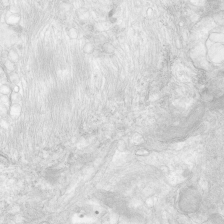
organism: Human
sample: Neocortex